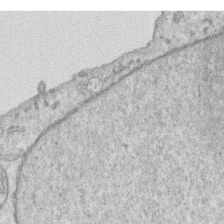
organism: Human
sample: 1205lu cells